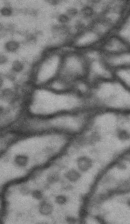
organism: Drosophila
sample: Brain